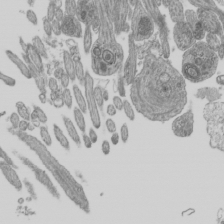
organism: Mouse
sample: Cilia; mouse epididymis